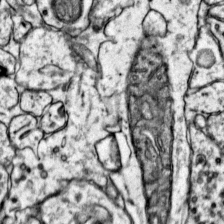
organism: Mouse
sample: Primary visual cortex